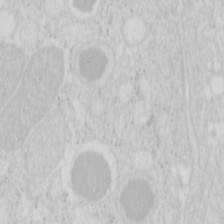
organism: Mouse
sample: Pancreas